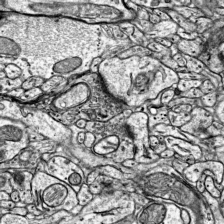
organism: Mouse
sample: Visual Cortex